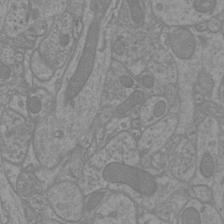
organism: Mouse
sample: Cortical neurons